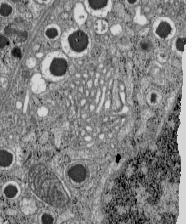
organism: C57BL Mouse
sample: Pancreatic islet